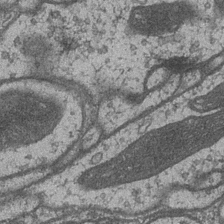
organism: Drosophila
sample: Optic medulla